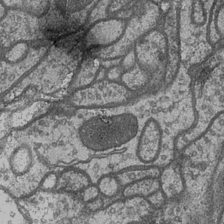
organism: Drosophila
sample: Optic medulla